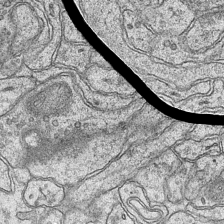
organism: Mouse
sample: CA1 Hippocampus